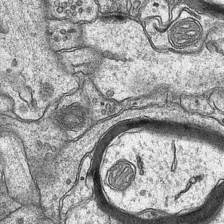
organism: Mouse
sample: CA1 Hippocampus